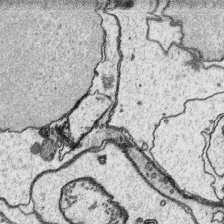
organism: Platynereis dumerilii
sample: Parapodia